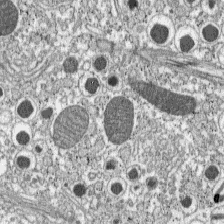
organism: C57BL Mouse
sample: Pancreatic islet